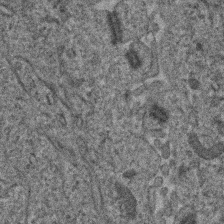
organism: Human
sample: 1205lu cells